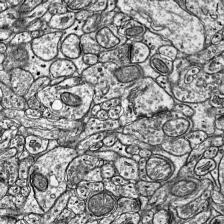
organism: Mouse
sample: Visual Cortex